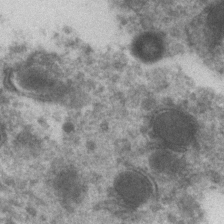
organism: Zebrafish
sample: Zebrafish embryo